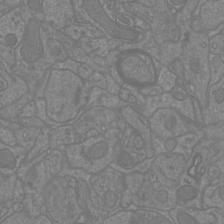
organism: Mouse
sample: Cortical neurons